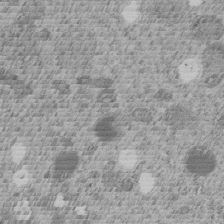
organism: C. elegans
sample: C. elegans embryo early stage